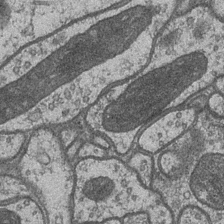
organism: Drosophila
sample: Optic medulla